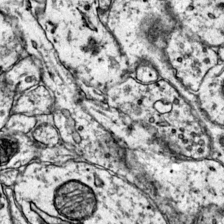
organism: Mouse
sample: Primary visual cortex